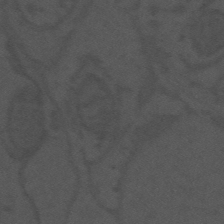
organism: Mouse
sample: Suprachiasmatic nucleus